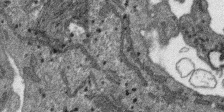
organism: Human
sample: Lung epithelial cells infected with SARS-CoV-2